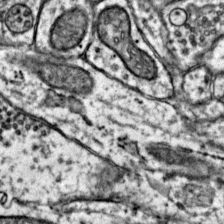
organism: Mouse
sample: Primary visual cortex